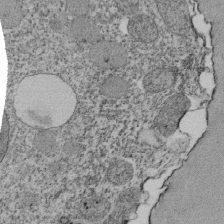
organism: Tetrahymena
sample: Cilia in tetrahymena